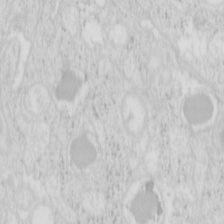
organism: Mouse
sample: Pancreas